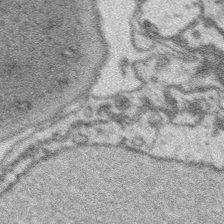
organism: Platynereis dumerilii